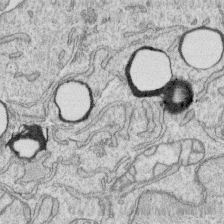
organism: Human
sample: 1205lu cells